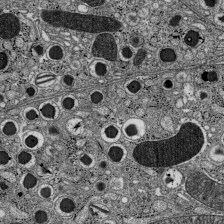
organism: C57BL Mouse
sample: Pancreatic islet